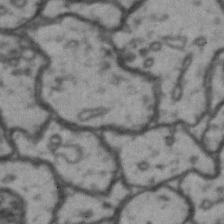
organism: Drosophila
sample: Brain